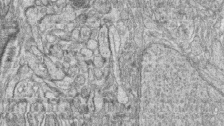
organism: Zebrafish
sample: synaptic ribbons in rod cells and cone cells